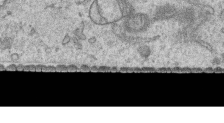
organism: Human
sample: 1205lu cells